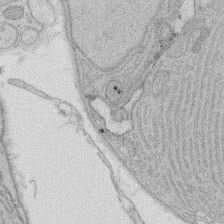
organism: Rat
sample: Salivary granule